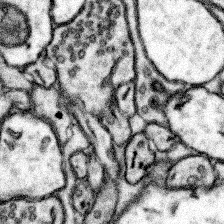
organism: Mouse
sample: Somatosensory cortex neuropil